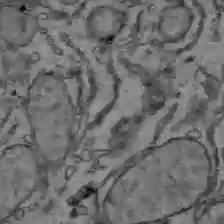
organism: C57BL Mouse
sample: Liver